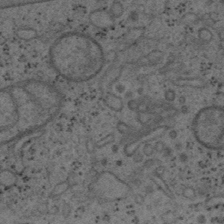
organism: Human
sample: HeLa cells